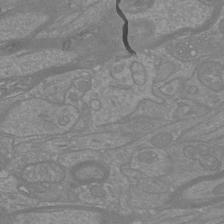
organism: Mouse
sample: Cortical neurons